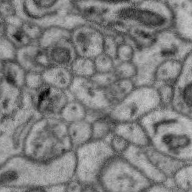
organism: Zebra finch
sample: Brain